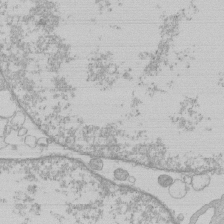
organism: Human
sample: Macrophage cells